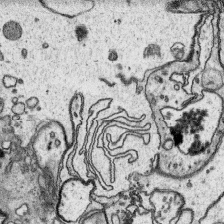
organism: Platynereis dumerilii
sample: Parapodia